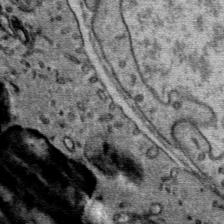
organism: Mouse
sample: Mouse Salivary gland